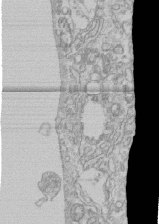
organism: Human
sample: CRL-1474